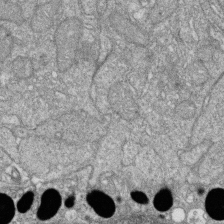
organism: Zebrafish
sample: Cilia; retinal pigment epithelium